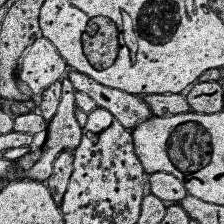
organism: Human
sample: Temporal Lobe